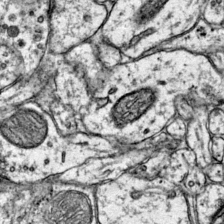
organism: Mouse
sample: Primary visual cortex